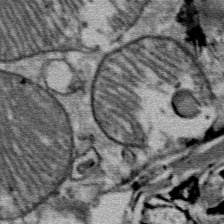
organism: Mouse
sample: Mouse Salivary gland